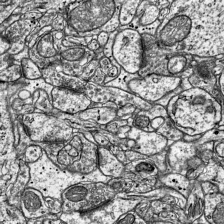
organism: Mouse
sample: Visual Cortex